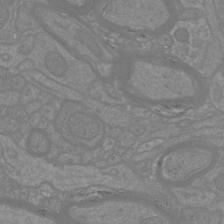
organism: Mouse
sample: Cortical neurons